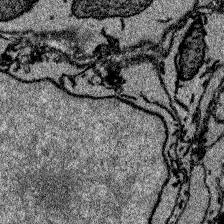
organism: Zebrafish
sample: Larval olfactory bulb